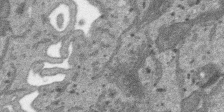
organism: Human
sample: Lung epithelial cells infected with SARS-CoV-2